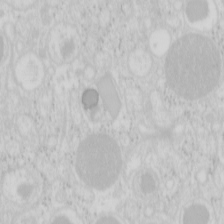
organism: Mouse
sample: Pancreas